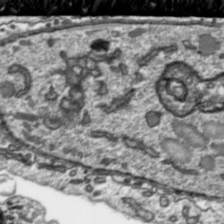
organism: Toxoplasma gondii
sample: Parasites in a vacuole inside a host cell